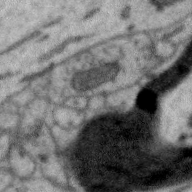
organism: Zebra finch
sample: Brain